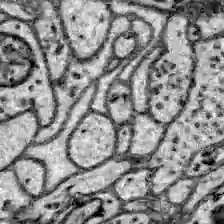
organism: Zebrafish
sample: Brain